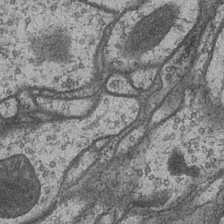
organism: Drosophila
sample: Optic medulla